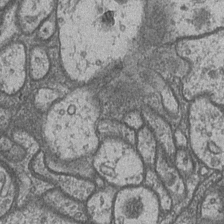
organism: Drosophila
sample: Optic medulla